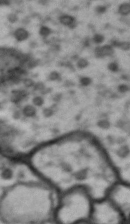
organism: Drosophila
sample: Brain